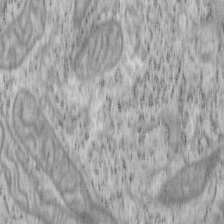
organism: Human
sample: HeLa cells